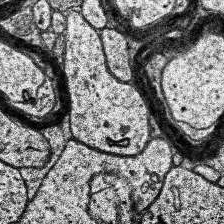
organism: Human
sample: Temporal Lobe